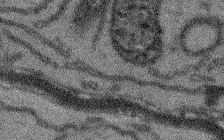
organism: Arabidopsis thaliana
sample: Root tip